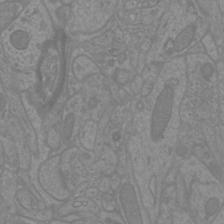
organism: Mouse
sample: Cortical neurons